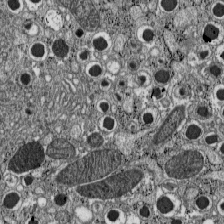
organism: C57BL Mouse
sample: Pancreatic islet